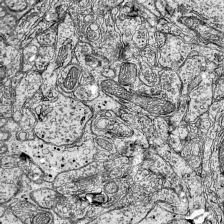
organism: Mouse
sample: Visual Cortex